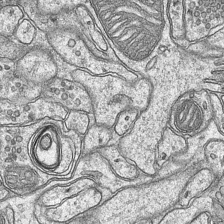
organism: Mouse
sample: CA1 Hippocampus